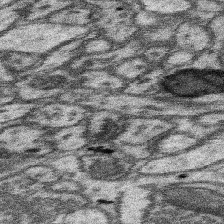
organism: Mouse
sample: Somatosensory cortex neuropil